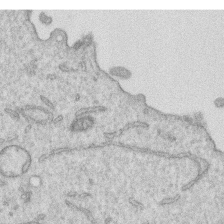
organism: Human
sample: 1205lu cells